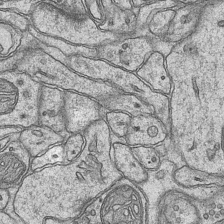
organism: Mouse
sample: CA1 Hippocampus